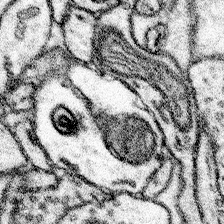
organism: Mouse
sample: Somatosensory cortex neuropil